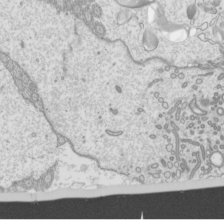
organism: Mouse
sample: Cilia; mouse epididymis